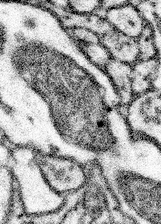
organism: Mouse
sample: Somatosensory cortex neuropil